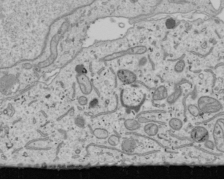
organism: Human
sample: Mitochondria in U2OS cells